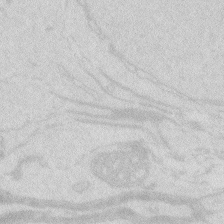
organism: Zebrafish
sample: Macrophage